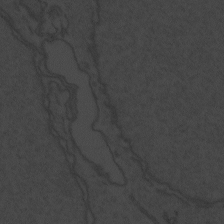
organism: Zebrafish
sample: Macrophage infected with Toxoplasma gondii